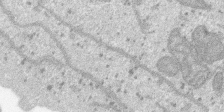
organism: Human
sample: Lung epithelial cells infected with SARS-CoV-2